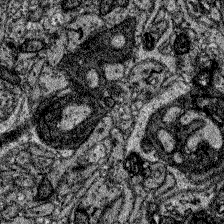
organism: Zebrafish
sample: Larval olfactory bulb